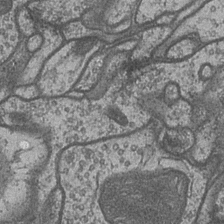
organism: Drosophila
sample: Optic medulla